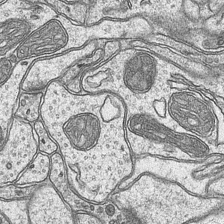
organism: Mouse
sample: CA1 Hippocampus